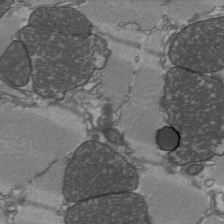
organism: C57BL Mouse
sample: Heart